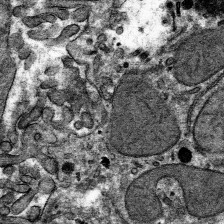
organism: Mouse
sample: Mouse hepatocytes